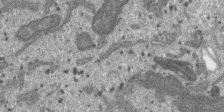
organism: Human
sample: Lung epithelial cells infected with SARS-CoV-2